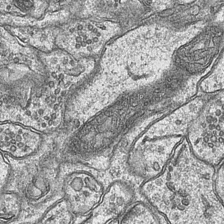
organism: Mouse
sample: CA1 Hippocampus